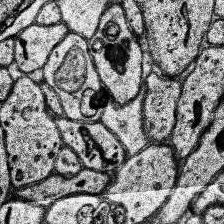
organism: Human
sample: Temporal Lobe